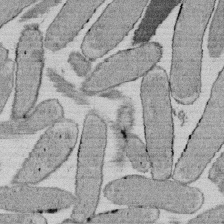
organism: E. coli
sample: Bacterial nucleoid